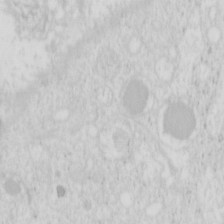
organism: Mouse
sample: Pancreas